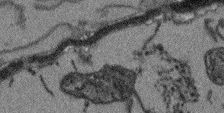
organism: Arabidopsis thaliana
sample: Root tip